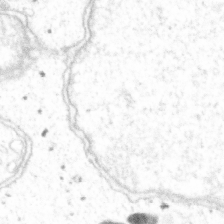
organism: Human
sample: HeLa cells